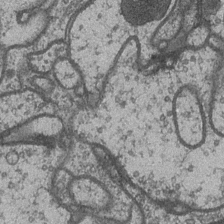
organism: Drosophila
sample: Optic medulla